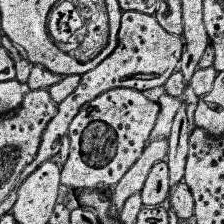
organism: Human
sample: Temporal Lobe